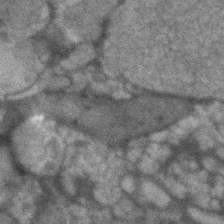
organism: Human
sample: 1205lu cells